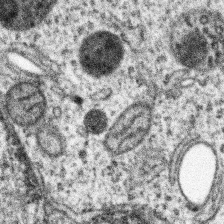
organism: Human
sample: HeLa cells